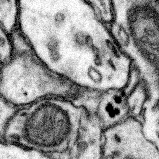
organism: Mouse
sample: Somatosensory cortex neuropil